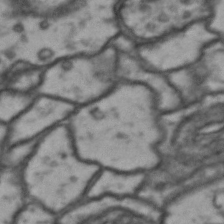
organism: Drosophila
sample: Brain